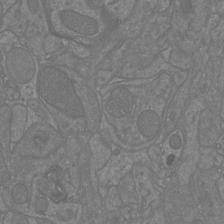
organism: Mouse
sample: Cortical neurons